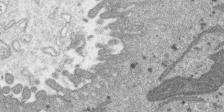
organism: Human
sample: Lung epithelial cells infected with SARS-CoV-2